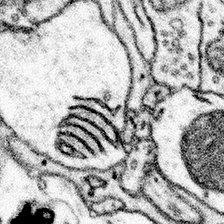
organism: Mouse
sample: Somatosensory cortex neuropil